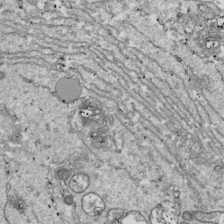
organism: Drosophila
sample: Cell division; meiosis; drosophila spermatocytes